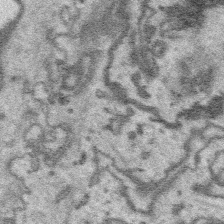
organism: Platynereis dumerilii